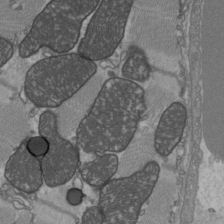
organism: C57BL Mouse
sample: Heart